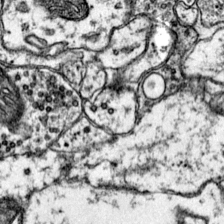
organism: Mouse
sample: Primary visual cortex